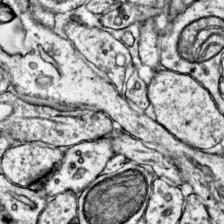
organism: Mouse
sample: Primary visual cortex